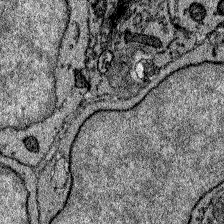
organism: Zebrafish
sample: Larval olfactory bulb